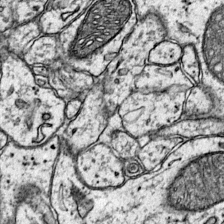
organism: Mouse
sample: Primary visual cortex